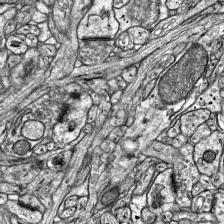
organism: Mouse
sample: Visual Cortex